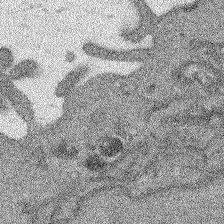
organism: Human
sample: HeLa cells